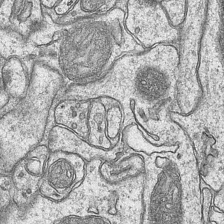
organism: Mouse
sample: CA1 Hippocampus